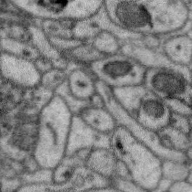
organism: Zebra finch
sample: Brain